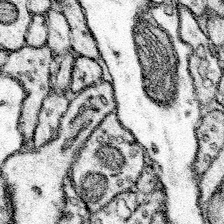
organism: Mouse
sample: Somatosensory cortex neuropil